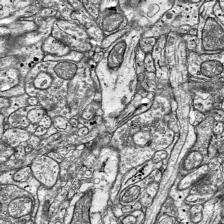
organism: Mouse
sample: Visual Cortex